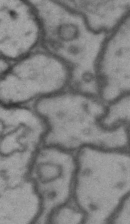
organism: Drosophila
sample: Brain